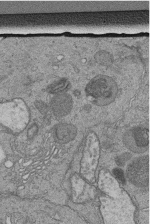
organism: Human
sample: Retinal organoid Rod and Cone cells